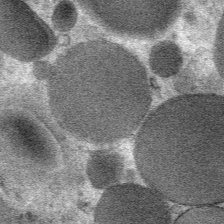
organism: Mouse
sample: Mouse Salivary gland